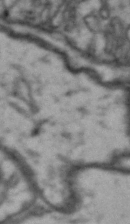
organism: Drosophila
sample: Brain